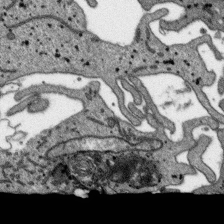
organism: Human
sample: Lung epithelial cells, uninfected (mock) control